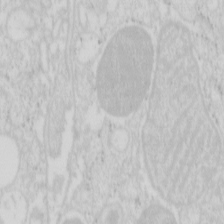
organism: Mouse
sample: Pancreas